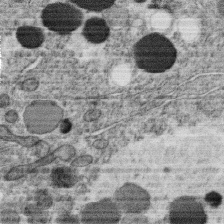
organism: C. elegans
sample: C. elegans oocyte; sperm cells